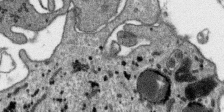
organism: Human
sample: Lung epithelial cells, uninfected (mock) control